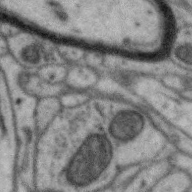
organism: Zebra finch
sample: Brain